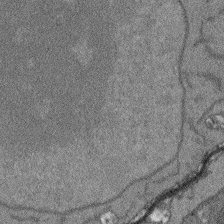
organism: Arabidopsis thaliana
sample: Root tip